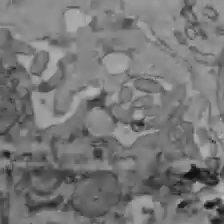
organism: C57BL Mouse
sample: Liver